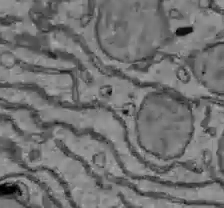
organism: C57BL Mouse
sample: Liver